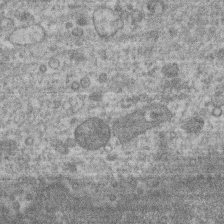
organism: Mouse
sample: T cell stromal cell synapse